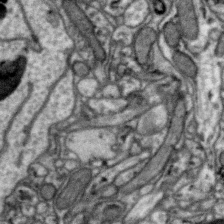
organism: Zebra finch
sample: Brain